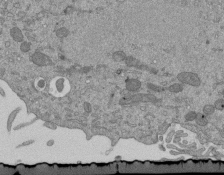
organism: Mouse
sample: ED-1 cell nuclei; centrioles